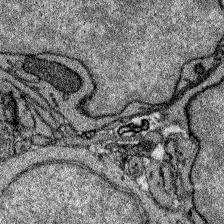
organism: Zebrafish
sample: Larval olfactory bulb